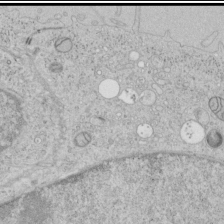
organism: Human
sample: Mitochondria in HCT116 cells